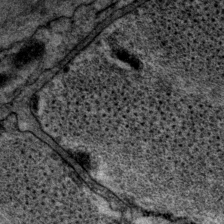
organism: P. pacificus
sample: Pharynx